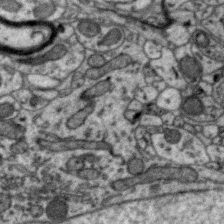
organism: Zebra finch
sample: Brain